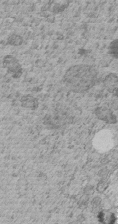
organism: C. elegans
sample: C. elegans embryo early stage